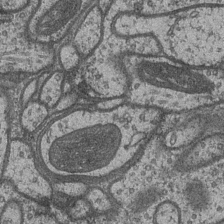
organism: Drosophila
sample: Optic medulla